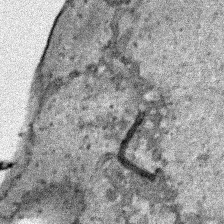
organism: Human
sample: Mitochondria in HCT116 cells